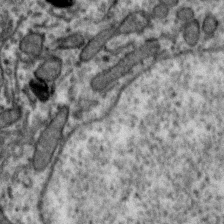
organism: Zebra finch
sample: Brain